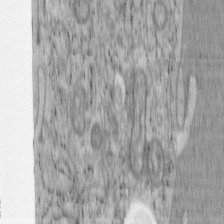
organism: Human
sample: HeLa cells